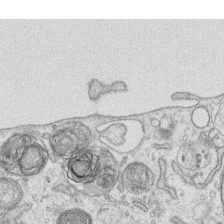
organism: Human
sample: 1205lu cells